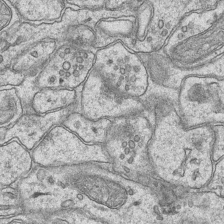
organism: Mouse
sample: CA1 Hippocampus